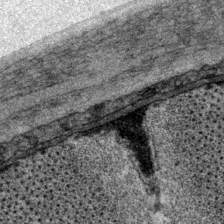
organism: P. pacificus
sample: Pharynx